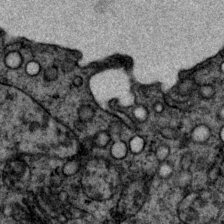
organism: P. pacificus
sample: Pharynx